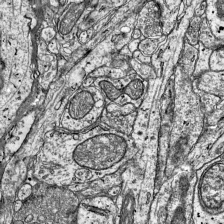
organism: Mouse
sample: Visual Cortex